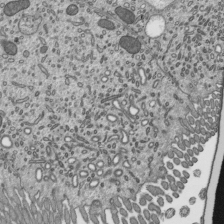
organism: Mouse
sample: Mouse epididymis efferent ductule cilia